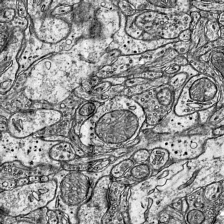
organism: Mouse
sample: Visual Cortex